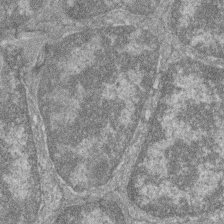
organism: Zebrafish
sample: Cilia; retinal pigment epithelium